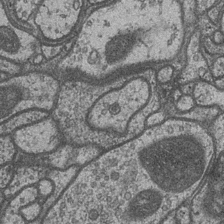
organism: Drosophila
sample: Optic medulla